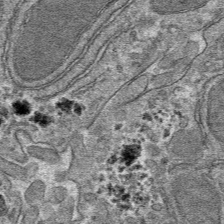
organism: Mouse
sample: Mouse hepatocytes